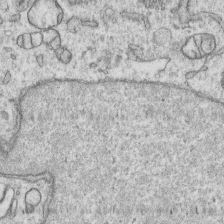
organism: Human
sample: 1205lu cells